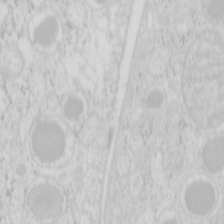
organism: Mouse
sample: Pancreas